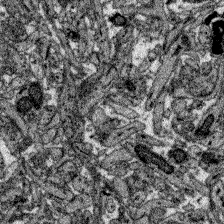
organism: Zebrafish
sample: Larval olfactory bulb